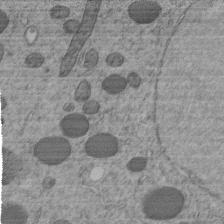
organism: C. elegans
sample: C. elegans embryo early stage